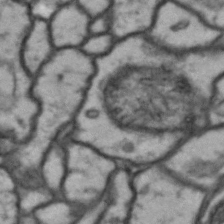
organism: Drosophila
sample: Brain